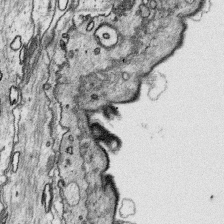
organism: Platynereis dumerilii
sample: Parapodia